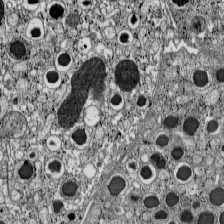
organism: C57BL Mouse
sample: Pancreatic islet